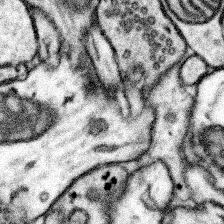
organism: Mouse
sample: Somatosensory cortex neuropil